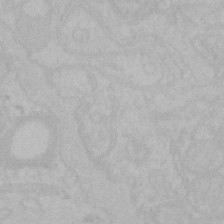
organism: Mouse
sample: Choroid plexus